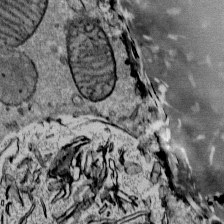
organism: Mouse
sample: Mouse Salivary gland